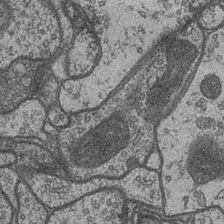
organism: Drosophila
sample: Optic medulla